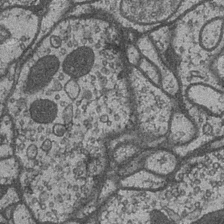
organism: Drosophila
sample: Optic medulla